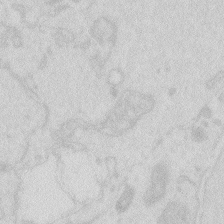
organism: Zebrafish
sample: Macrophage